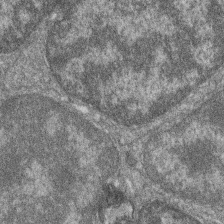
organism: Zebrafish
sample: Cilia; retinal pigment epithelium